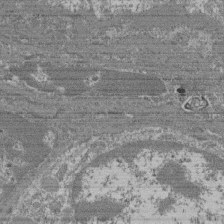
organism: Mouse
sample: Glomerulus